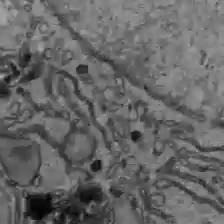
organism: C57BL Mouse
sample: Liver